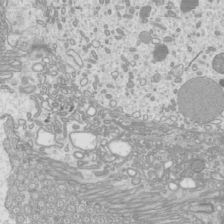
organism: Mouse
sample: Cilia; mouse epididymis